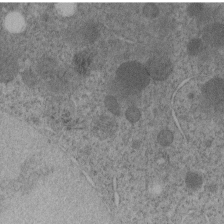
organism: C. elegans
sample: C. elegans embryo early stage